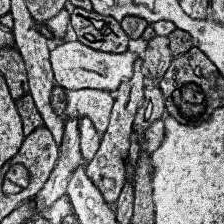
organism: Human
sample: Temporal Lobe